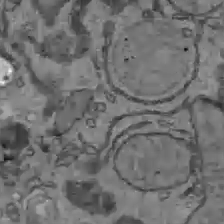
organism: C57BL Mouse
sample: Liver